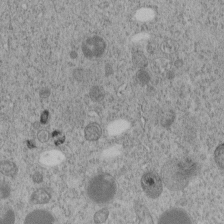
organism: C. elegans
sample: C. elegans embryo early stage